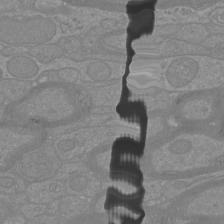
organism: Mouse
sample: Cortical neurons